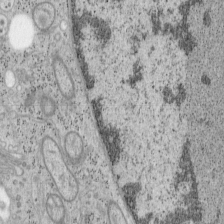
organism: Mouse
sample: OT-I killer T cells with ID8 ovarian cancer cells